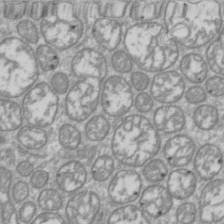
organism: Drosophila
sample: Cell division; meiosis; drosophila spermatocytes